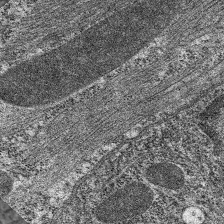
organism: C. elegans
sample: Pharynx